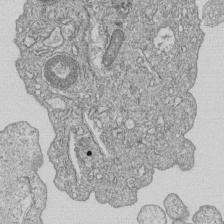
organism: Human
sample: MDA-MB-231 cells